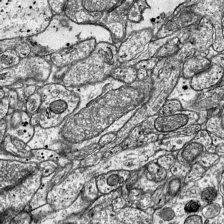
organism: Mouse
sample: Visual Cortex